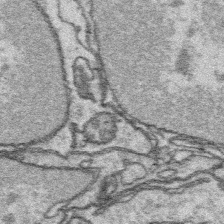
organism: Platynereis dumerilii